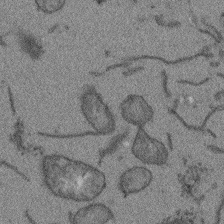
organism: Arabidopsis thaliana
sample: Root tip